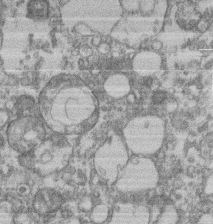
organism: Mouse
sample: T cell stromal cell synapse